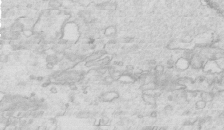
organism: Mouse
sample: Multiciliated cells